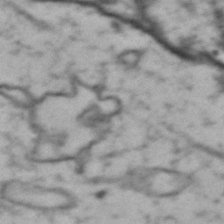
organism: Drosophila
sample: Brain